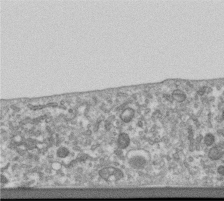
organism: Human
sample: Centriole in RPE cells